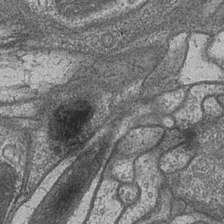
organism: Drosophila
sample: Optic medulla